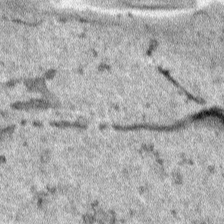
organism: Human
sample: Mitochondria in HCT116 cells